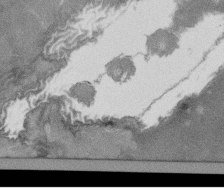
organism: Tetrahymena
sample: Cilia in tetrahymena